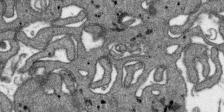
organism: Human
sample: Lung epithelial cells, uninfected (mock) control